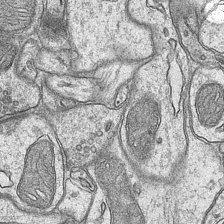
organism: Mouse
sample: CA1 Hippocampus